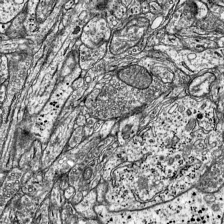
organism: Mouse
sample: Visual Cortex